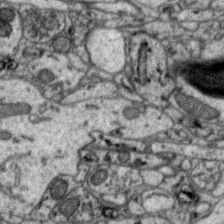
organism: Zebra finch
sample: Brain